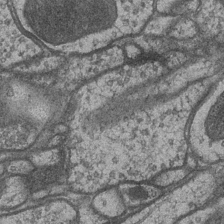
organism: Drosophila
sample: Optic medulla